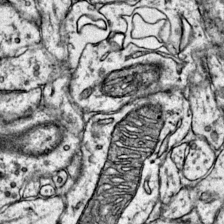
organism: Mouse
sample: Primary visual cortex